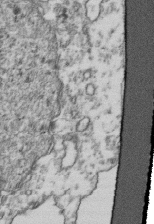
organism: Human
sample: Activated Jurkat CD4+ T cells